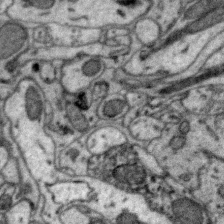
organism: Zebra finch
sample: Brain